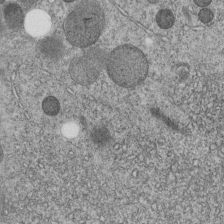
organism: C. elegans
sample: C. elegans embryo early stage